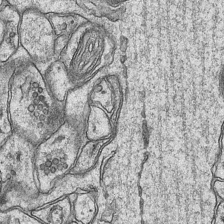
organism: Mouse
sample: CA1 Hippocampus